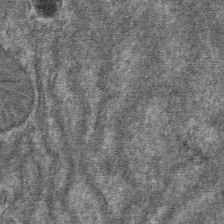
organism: Mouse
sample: Mouse hepatocytes